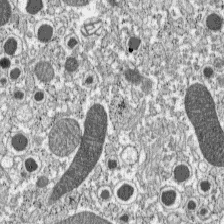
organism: C57BL Mouse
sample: Pancreatic islet